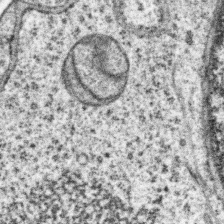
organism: Human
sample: HeLa cells